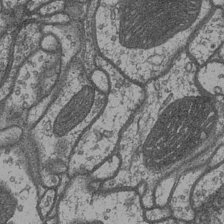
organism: Drosophila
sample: Optic medulla